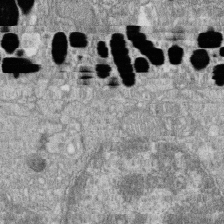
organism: Zebrafish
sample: Cilia; retinal pigment epithelium